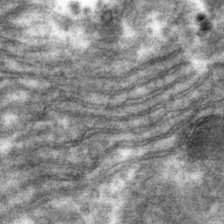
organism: Mouse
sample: Mouse hepatocytes